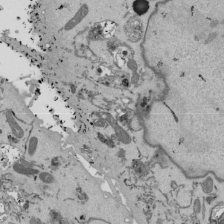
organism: Mouse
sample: ED-1 cell nuclei; centrioles